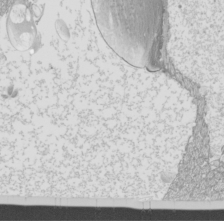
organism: Mouse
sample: Cilia; mouse epididymis